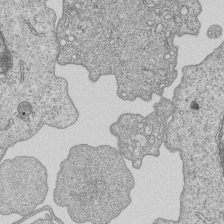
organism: Human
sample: MDA-MB-231 cells